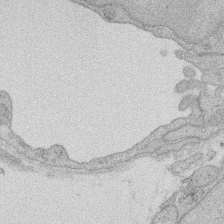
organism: Rat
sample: Salivary granule